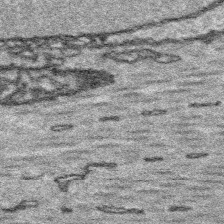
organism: Platynereis dumerilii